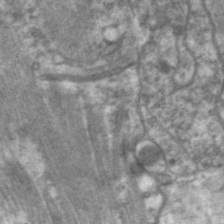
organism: C. elegans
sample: Pharynx